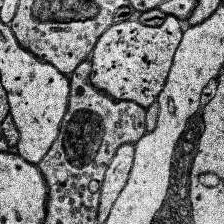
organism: Human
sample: Temporal Lobe